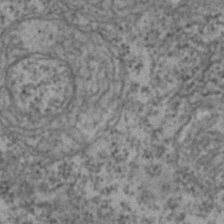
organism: Zebrafish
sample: Zebrafish embryo